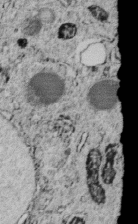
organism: C. elegans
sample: C. elegans embryo early stage